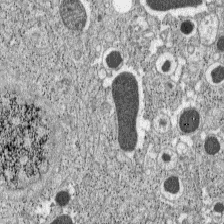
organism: C57BL Mouse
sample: Pancreatic islet